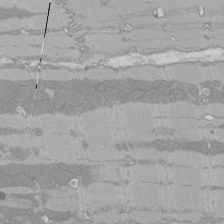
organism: Rat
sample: Left ventricle